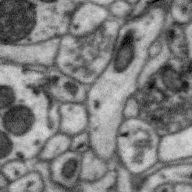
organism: Zebra finch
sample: Brain